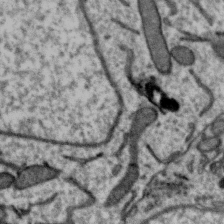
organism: Zebra finch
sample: Brain